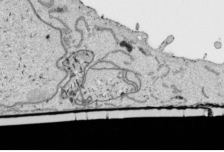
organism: Human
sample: Mitochondria in HCT116 cells